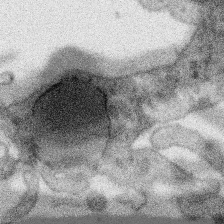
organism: Human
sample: Lung epithelial cells infected with SARS-CoV-2